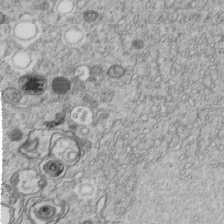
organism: C. elegans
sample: C. elegans embryo early stage